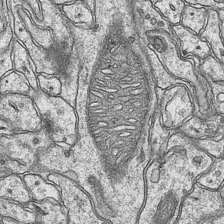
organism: Mouse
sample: CA1 Hippocampus